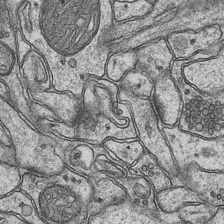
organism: Mouse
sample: CA1 Hippocampus